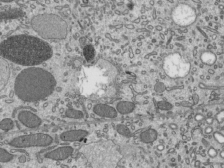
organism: Mouse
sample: Mouse epididymis efferent ductule cilia